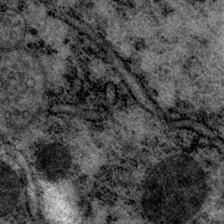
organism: P. pacificus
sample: Pharynx